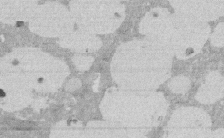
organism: Rat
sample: Salivary granule